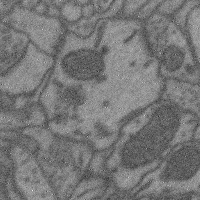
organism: Mouse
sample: Cerebral cortex